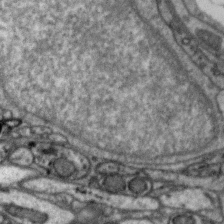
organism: Zebra finch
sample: Brain